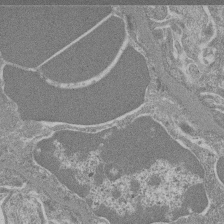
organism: Mouse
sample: Glomerulus